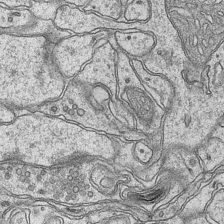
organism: Mouse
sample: CA1 Hippocampus